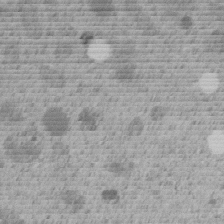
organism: C. elegans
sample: C. elegans embryo early stage